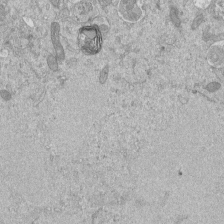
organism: Mouse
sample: ED-1 cell nuclei; centrioles